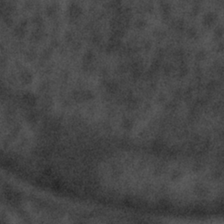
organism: Tuwongella immobilis